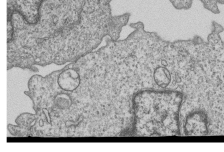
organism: Human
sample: MDA-MB-231 cells